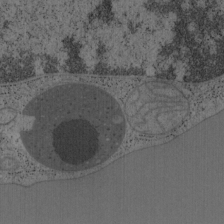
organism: Mouse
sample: OT-I killer T cells with ID8 ovarian cancer cells